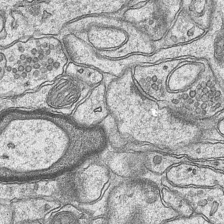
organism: Mouse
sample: CA1 Hippocampus